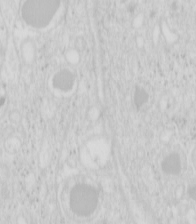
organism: Mouse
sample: Pancreas